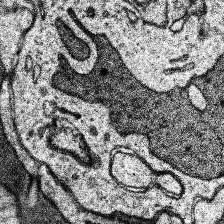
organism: Human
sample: Temporal Lobe